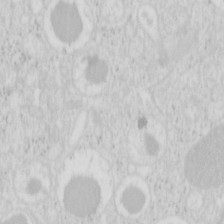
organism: Mouse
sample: Pancreas